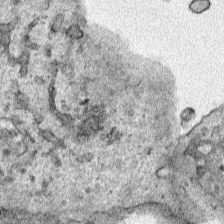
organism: Human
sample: Mitochondria in HCT116 cells